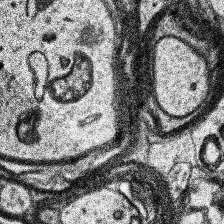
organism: Human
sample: Temporal Lobe